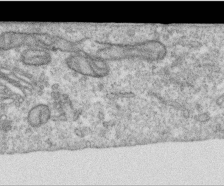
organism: Human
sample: Centriole in RPE cells